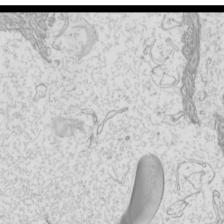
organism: Mouse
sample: Cilia; mouse epididymis